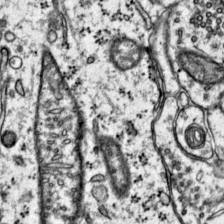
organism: Mouse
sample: Primary visual cortex